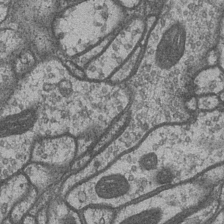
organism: Drosophila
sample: Optic medulla